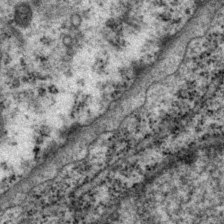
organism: P. pacificus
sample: Pharynx